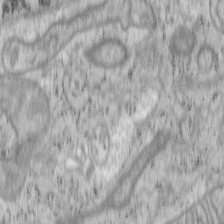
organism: Human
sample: HeLa cells